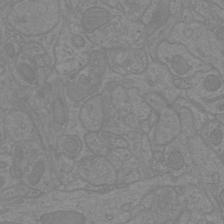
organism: Mouse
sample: Cortical neurons